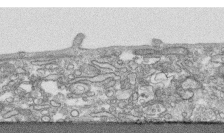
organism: Human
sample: CRL-1474